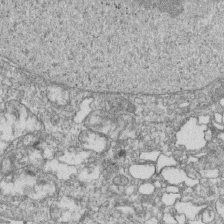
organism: Human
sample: HeLa cell HIV synapse